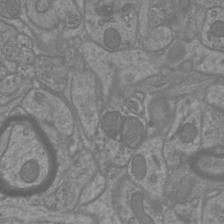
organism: Mouse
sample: Cortical neurons